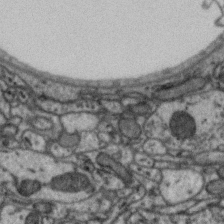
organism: Zebra finch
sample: Brain